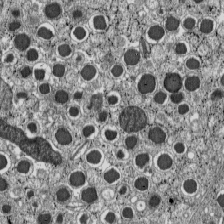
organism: C57BL Mouse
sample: Pancreatic islet